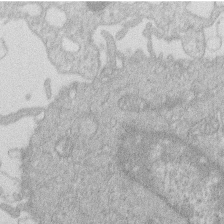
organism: Human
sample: Macrophage cells